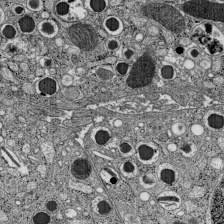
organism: C57BL Mouse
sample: Pancreatic islet